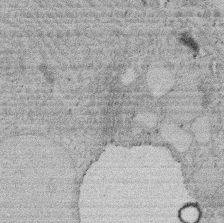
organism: Rat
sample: Salivary granule